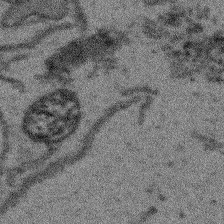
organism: Arabidopsis thaliana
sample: Root tip